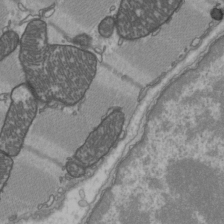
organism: C57BL Mouse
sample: Heart